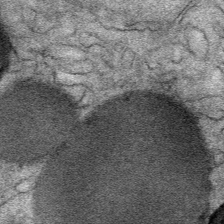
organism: Mouse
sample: Mouse Salivary gland